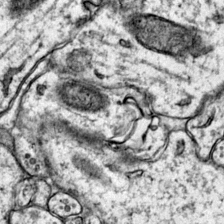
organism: Mouse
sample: Primary visual cortex